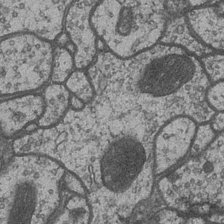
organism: Drosophila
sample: Optic medulla